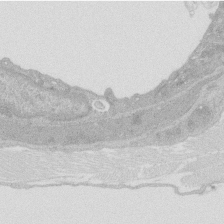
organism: Rat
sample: Salivary granule